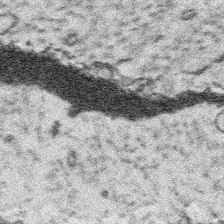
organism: Platynereis dumerilii